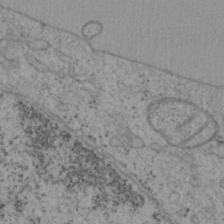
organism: Human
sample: HeLa cells